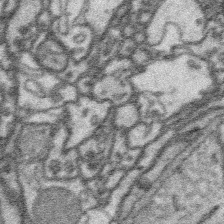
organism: Platynereis dumerilii